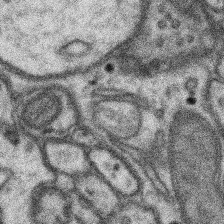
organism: Mouse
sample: Somatosensory cortex neuropil